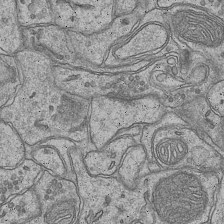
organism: Mouse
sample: CA1 Hippocampus